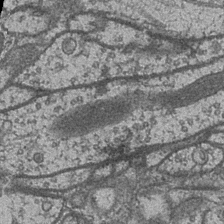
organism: Drosophila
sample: Optic medulla